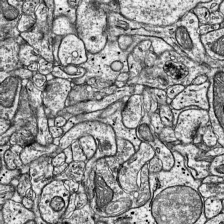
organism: Mouse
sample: Visual Cortex